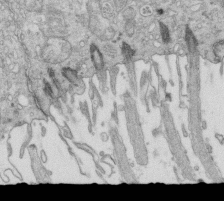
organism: Mouse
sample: Multiciliated cells